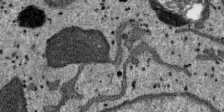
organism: Human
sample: Lung epithelial cells, uninfected (mock) control